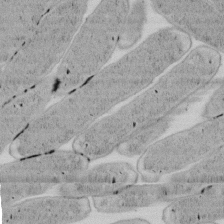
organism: E. coli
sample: Bacterial nucleoid